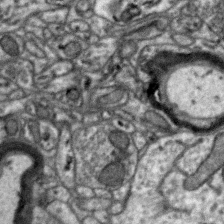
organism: Zebra finch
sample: Brain